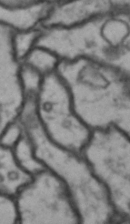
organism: Drosophila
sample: Brain